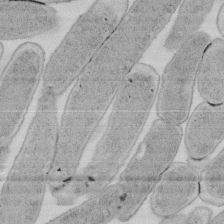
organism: E. coli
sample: Bacterial nucleoid